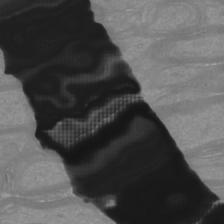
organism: Mouse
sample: Cortical neurons